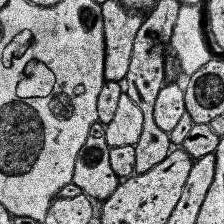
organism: Human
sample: Temporal Lobe